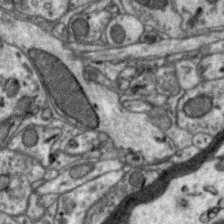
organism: Zebra finch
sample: Brain